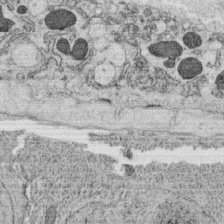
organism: C. elegans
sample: C. elegans oocyte; sperm cells